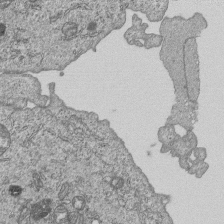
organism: Human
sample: MDA-MB-231 cells